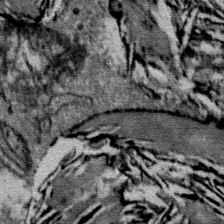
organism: Mouse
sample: Mouse Salivary gland